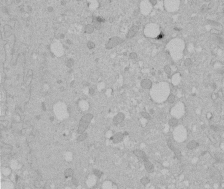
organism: Human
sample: Melanocyte Keratinocyte synapse skin construct